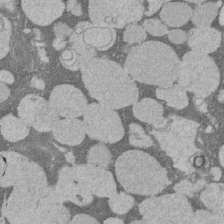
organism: Rat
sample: Salivary granule